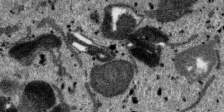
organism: Human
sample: Lung epithelial cells, uninfected (mock) control